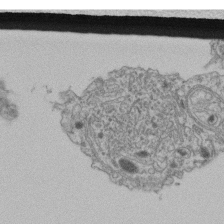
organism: Human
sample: Retinal organoid Rod and Cone cells